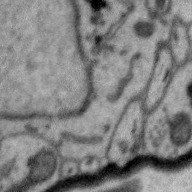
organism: Zebra finch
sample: Brain